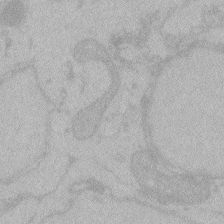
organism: Zebrafish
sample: Macrophage infected with Toxoplasma gondii